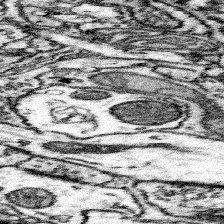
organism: Mouse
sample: Somatosensory cortex neuropil